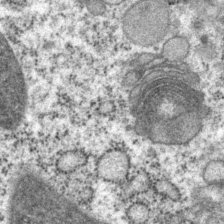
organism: P. pacificus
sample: Pharynx